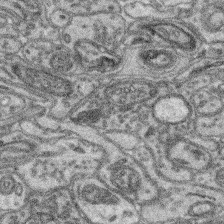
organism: Mouse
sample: Retina